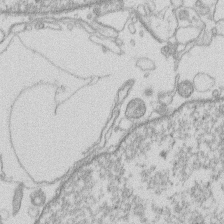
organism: Human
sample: Macrophage cells